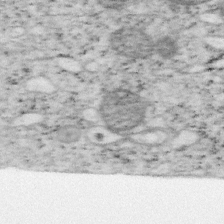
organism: Mouse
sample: OT-I killer T cells with ID8 ovarian cancer cells